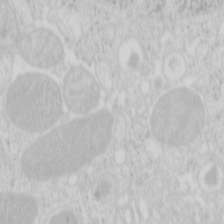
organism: Mouse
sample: Pancreas